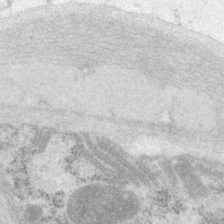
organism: P. pacificus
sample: Pharynx